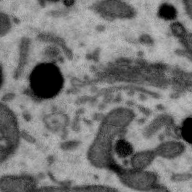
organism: Zebra finch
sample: Brain